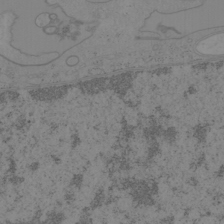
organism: Human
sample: HeLa cells